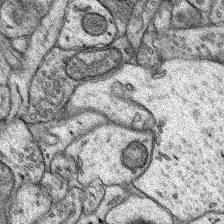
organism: Rat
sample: Hippocampus